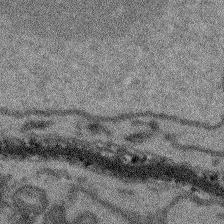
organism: Arabidopsis thaliana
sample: Root tip